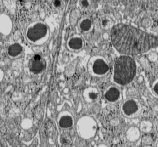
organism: C57BL Mouse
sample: Pancreatic islet